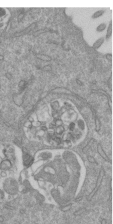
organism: Mouse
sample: ED-1 cell nuclei; centrioles